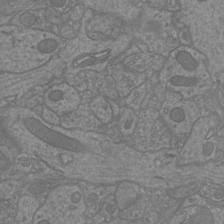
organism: Mouse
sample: Cortical neurons